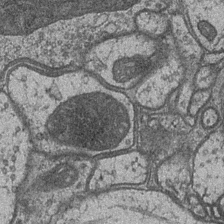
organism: Drosophila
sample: Optic medulla